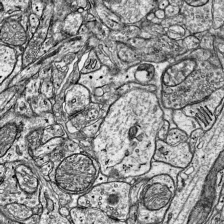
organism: Mouse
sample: Visual Cortex